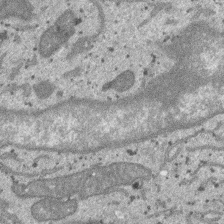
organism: Human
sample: Lung epithelial cells infected with SARS-CoV-2